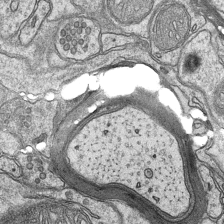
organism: Mouse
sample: CA1 Hippocampus